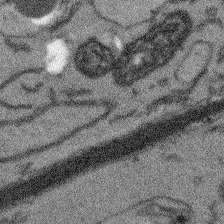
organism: Arabidopsis thaliana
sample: Root tip